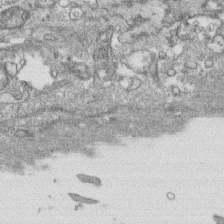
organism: Human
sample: CRL-1474